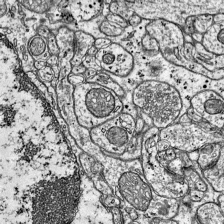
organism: Mouse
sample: Visual Cortex